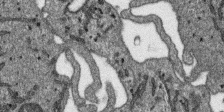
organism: Human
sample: Lung epithelial cells infected with SARS-CoV-2